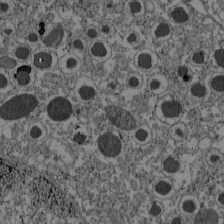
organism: C57BL Mouse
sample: Pancreatic islet